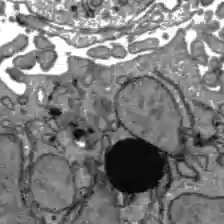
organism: C57BL Mouse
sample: Liver